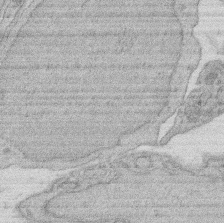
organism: Rat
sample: Salivary granule